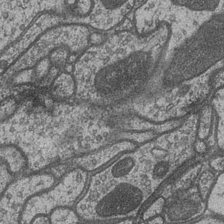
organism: Drosophila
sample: Optic medulla